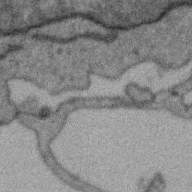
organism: Zebra finch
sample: Brain